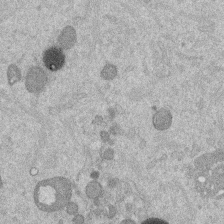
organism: Mouse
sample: Dividing mouse embryo 1 cell stage